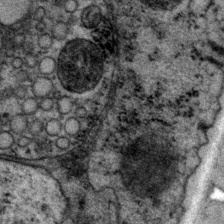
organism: P. pacificus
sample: Pharynx